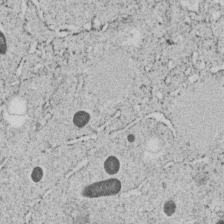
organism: C. elegans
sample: C. elegans embryo early stage